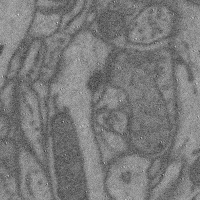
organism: Mouse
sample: Cerebral cortex